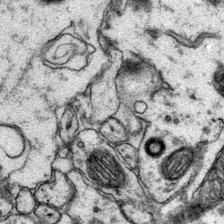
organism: Mouse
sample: Primary visual cortex